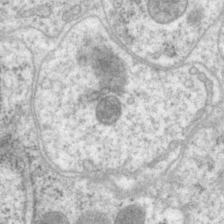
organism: P. pacificus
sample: Pharynx